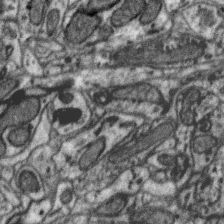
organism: Zebra finch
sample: Brain